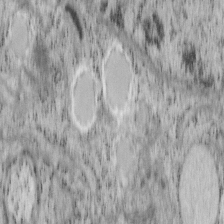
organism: Human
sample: HeLa cells